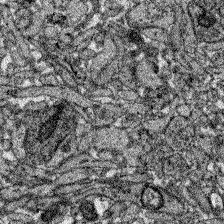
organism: Zebrafish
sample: Larval olfactory bulb